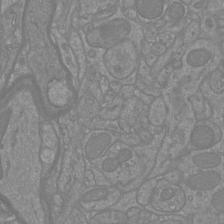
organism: Mouse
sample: Cortical neurons